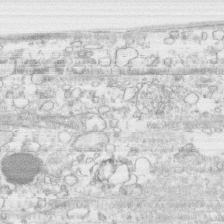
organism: Human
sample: CRL-1474